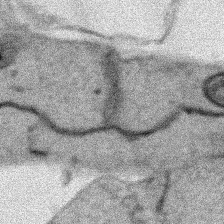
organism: Human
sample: Mitochondria in HCT116 cells